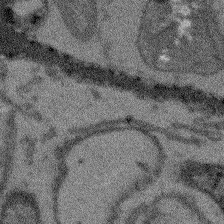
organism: Arabidopsis thaliana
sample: Root tip